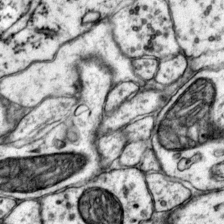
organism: Mouse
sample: Primary visual cortex